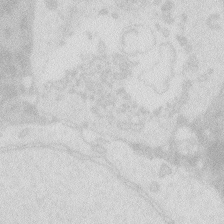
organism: Zebrafish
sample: Macrophage